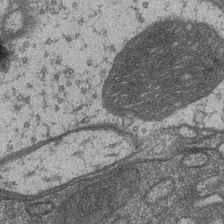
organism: Drosophila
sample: Optic medulla